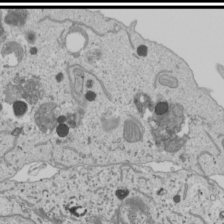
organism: Human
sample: Mitochondria in U2OS cells